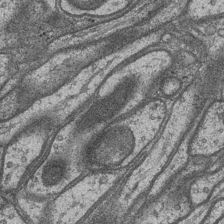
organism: Drosophila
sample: Optic medulla